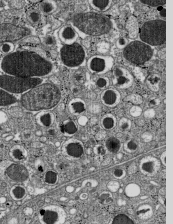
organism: C57BL Mouse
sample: Pancreatic islet